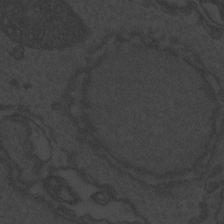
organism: Zebrafish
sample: Macrophage infected with Toxoplasma gondii